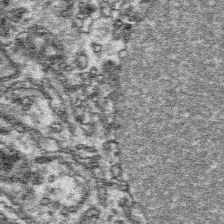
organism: Platynereis dumerilii